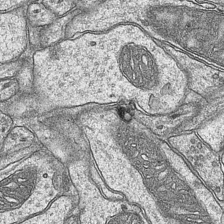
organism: Mouse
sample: CA1 Hippocampus